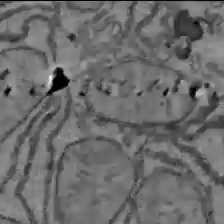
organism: C57BL Mouse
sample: Liver